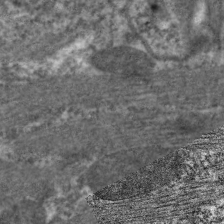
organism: C. elegans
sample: Pharynx